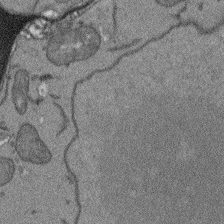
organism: Arabidopsis thaliana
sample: Root tip